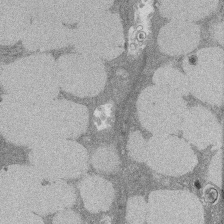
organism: Rat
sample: Salivary granule